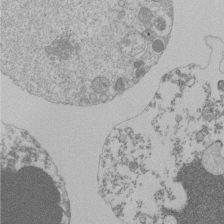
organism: Mouse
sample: Activated Pmel transgenic CD8+ T Cells